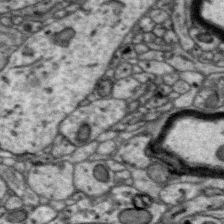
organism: Zebra finch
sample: Brain